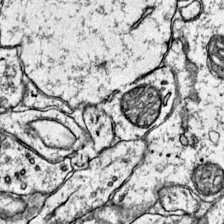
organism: Mouse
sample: Primary visual cortex